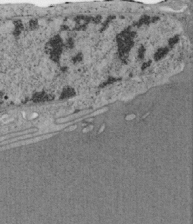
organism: Human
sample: HeLa cells